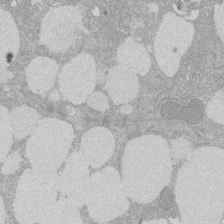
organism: Rat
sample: Salivary granule